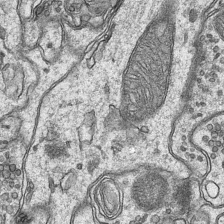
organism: Mouse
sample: CA1 Hippocampus